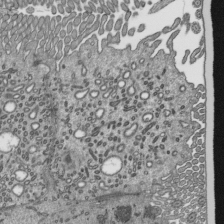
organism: Mouse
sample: Mouse epididymis efferent ductule cilia